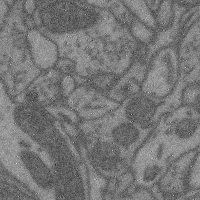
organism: Mouse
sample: Cerebral cortex